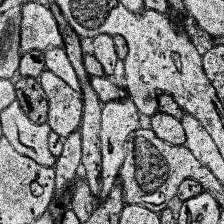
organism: Human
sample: Temporal Lobe